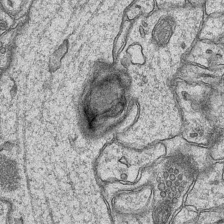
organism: Mouse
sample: CA1 Hippocampus